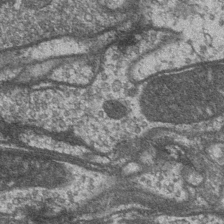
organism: Drosophila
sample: Optic medulla